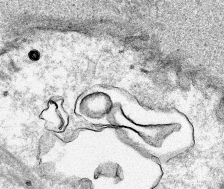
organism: Human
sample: Mitochondria in HCT116 cells